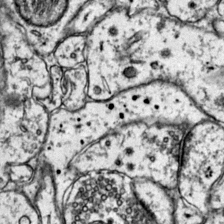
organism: Mouse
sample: Primary visual cortex